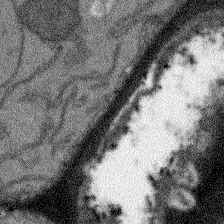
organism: Arabidopsis thaliana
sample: Root tip